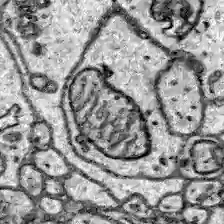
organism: Zebrafish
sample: Brain